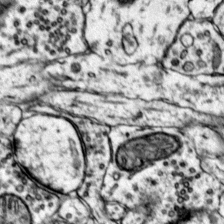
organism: Mouse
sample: Primary visual cortex